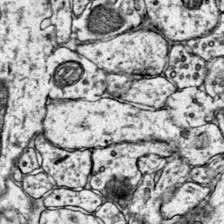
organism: Mouse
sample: Primary visual cortex